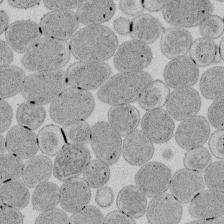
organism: E. coli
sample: Bacterial nucleoid